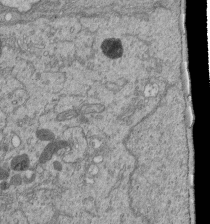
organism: Human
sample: Retinal organoid Rod and Cone cells